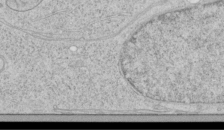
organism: Human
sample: Mitochondria in HCT116 cells